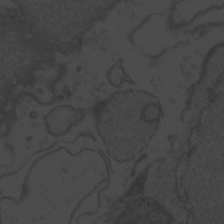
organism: Zebrafish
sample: Macrophage infected with Toxoplasma gondii